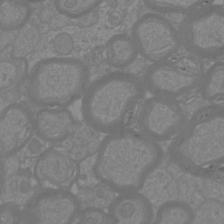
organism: Mouse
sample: Cortical neurons